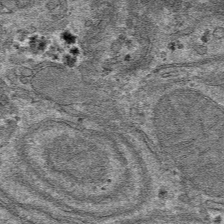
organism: Mouse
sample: Mouse hepatocytes